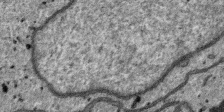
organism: Human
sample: Lung epithelial cells, uninfected (mock) control